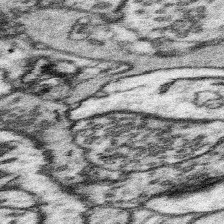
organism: Mouse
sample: Somatosensory cortex neuropil